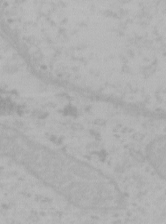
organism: Mouse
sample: Choroid plexus